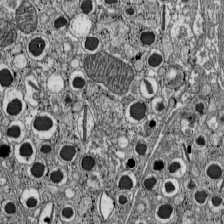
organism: C57BL Mouse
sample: Pancreatic islet